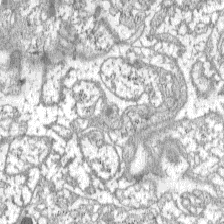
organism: C57BL Mouse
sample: Pancreatic islet